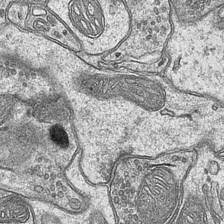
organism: Mouse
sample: CA1 Hippocampus